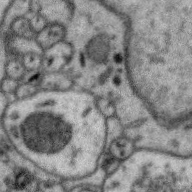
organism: Zebra finch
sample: Brain